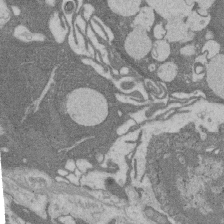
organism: Rat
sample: Salivary granule